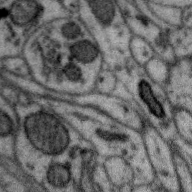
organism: Zebra finch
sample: Brain